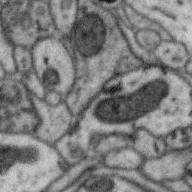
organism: Zebra finch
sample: Brain